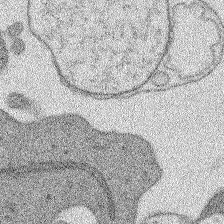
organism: Human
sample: HeLa cells